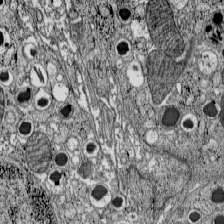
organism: C57BL Mouse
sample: Pancreatic islet